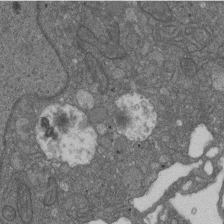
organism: Drosophila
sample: Nephrocyte